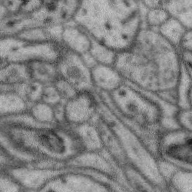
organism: Zebra finch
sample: Brain